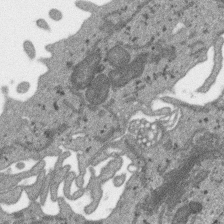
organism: Human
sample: Lung epithelial cells infected with SARS-CoV-2